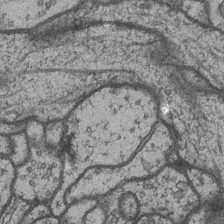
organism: Drosophila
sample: Optic medulla